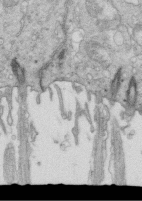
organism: Mouse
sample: Multiciliated cells